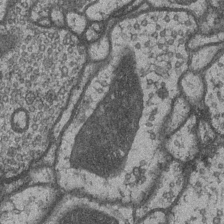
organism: Drosophila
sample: Optic medulla